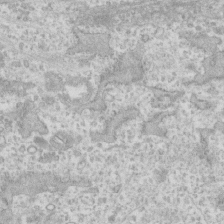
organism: Human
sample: CRL-1474